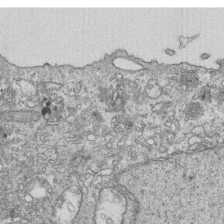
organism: Human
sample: HeLa cell HIV synapse